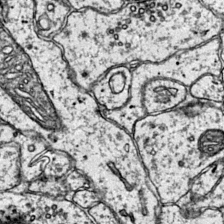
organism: Mouse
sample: Primary visual cortex